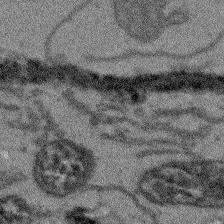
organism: Arabidopsis thaliana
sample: Root tip